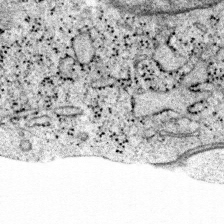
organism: Human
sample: HeLa cells